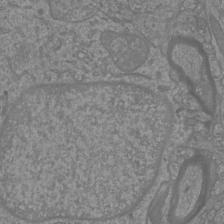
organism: Mouse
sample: Cortical neurons